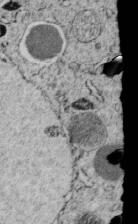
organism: C. elegans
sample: C. elegans embryo early stage